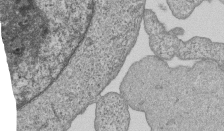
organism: Human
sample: MDA-MB-231 cells